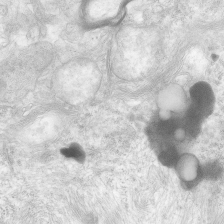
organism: Human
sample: Neocortex